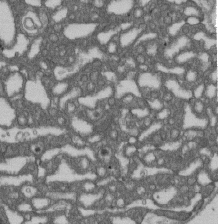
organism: Drosophila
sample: Nephrocyte